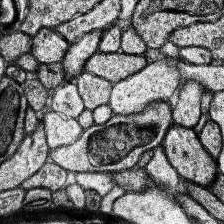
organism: Human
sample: Temporal Lobe